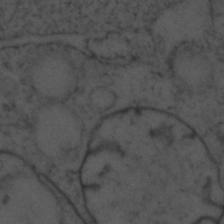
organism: Zebrafish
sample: Zebrafish embryo